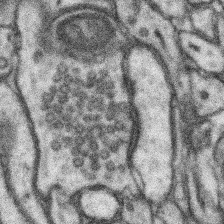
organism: Mouse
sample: Somatosensory cortex neuropil